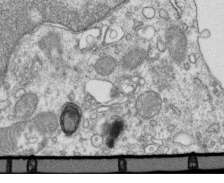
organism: Mouse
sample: Activated OT-1 CD8+ T cells